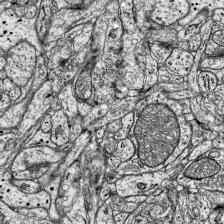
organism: Mouse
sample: Visual Cortex